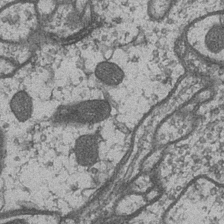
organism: Drosophila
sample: Optic medulla